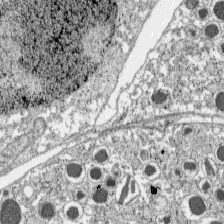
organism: C57BL Mouse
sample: Pancreatic islet